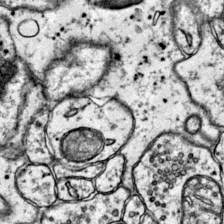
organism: Mouse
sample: Primary visual cortex